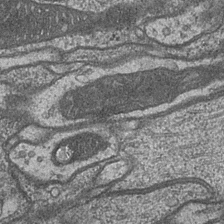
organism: Drosophila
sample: Optic medulla